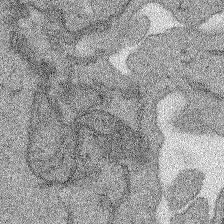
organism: Human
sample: HeLa cells